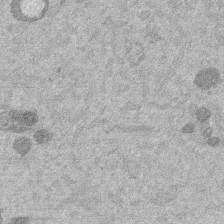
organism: Mouse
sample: Dividing mouse embryo 1 cell stage